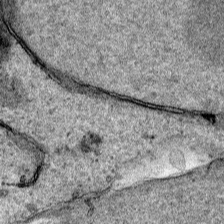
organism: Human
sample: Mitochondria in HCT116 cells